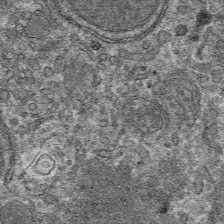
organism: Mouse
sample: Mouse hepatocytes